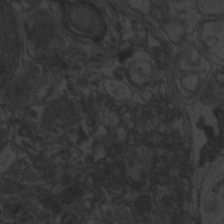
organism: Zebrafish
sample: Macrophage infected with Toxoplasma gondii